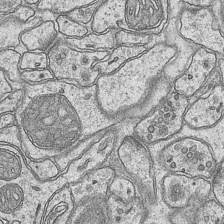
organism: Mouse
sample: CA1 Hippocampus